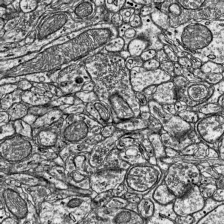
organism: Mouse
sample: Visual Cortex